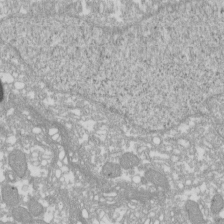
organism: Xenopus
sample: Cilia; centrioles in frog embryo cells